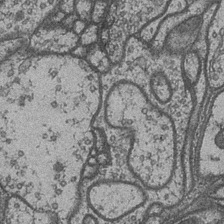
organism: Drosophila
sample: Optic medulla